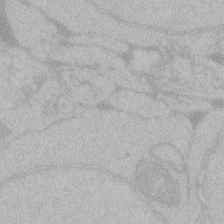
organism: Zebrafish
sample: Macrophage infected with Toxoplasma gondii